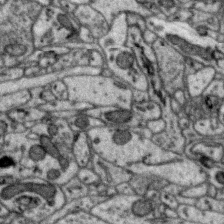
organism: Zebra finch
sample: Brain